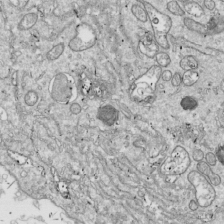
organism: Drosophila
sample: Cell division; meiosis; drosophila spermatocytes